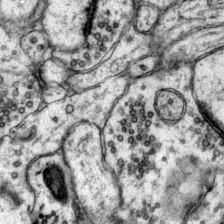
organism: Mouse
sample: Primary visual cortex